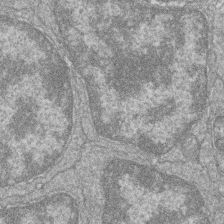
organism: Zebrafish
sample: Cilia; retinal pigment epithelium